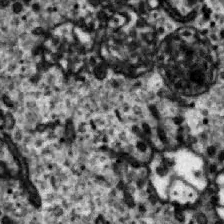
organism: Human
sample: HeLa cells